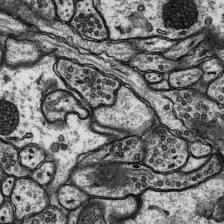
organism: Rat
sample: Hippocampus